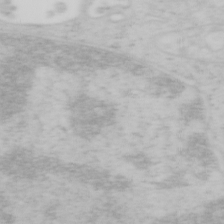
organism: Mouse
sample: OT-I killer T cells with ID8 ovarian cancer cells